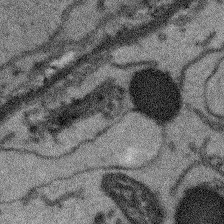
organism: Arabidopsis thaliana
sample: Root tip